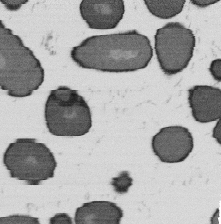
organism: B. subtilis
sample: Bacterial spore